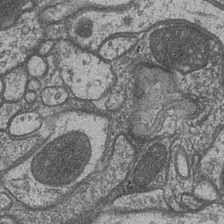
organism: Drosophila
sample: Optic medulla